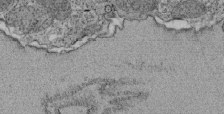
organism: Tetrahymena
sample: Cilia in tetrahymena